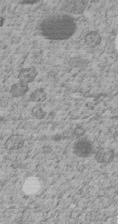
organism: C. elegans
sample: C. elegans embryo early stage